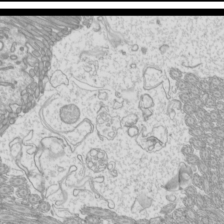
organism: Mouse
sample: Cilia; mouse epididymis